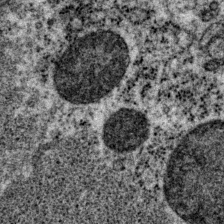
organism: P. pacificus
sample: Pharynx